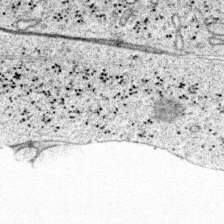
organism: Human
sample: HeLa cells